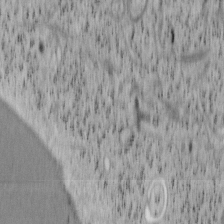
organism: Human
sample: HeLa cells